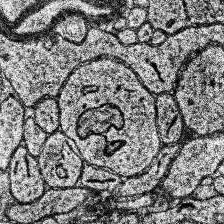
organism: Human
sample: Temporal Lobe